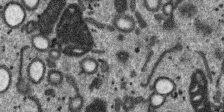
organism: Human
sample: Lung epithelial cells infected with SARS-CoV-2